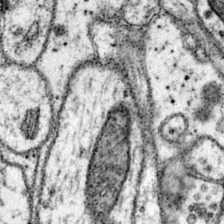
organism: Mouse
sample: Primary visual cortex